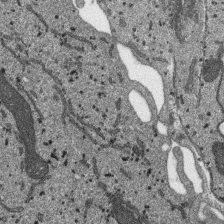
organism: Human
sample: Lung epithelial cells infected with SARS-CoV-2